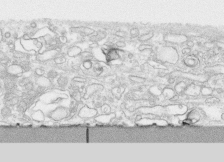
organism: Human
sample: CRL-1474